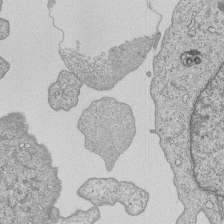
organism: Human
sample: MDA-MB-231 cells